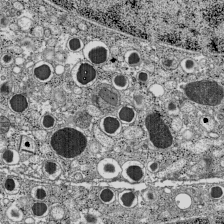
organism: C57BL Mouse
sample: Pancreatic islet